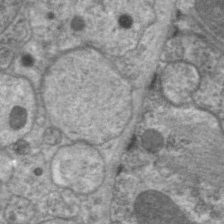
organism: C. elegans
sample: Pharynx